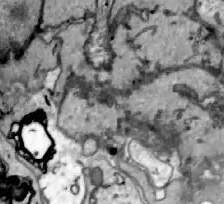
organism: Zebrafish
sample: Actinotrichia fibers